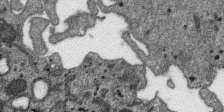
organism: Human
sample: Lung epithelial cells infected with SARS-CoV-2